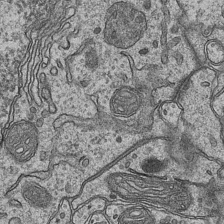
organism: Mouse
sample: CA1 Hippocampus